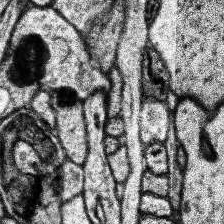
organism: Human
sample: Temporal Lobe